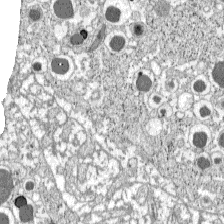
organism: C57BL Mouse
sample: Pancreatic islet